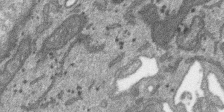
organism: Human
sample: Lung epithelial cells infected with SARS-CoV-2